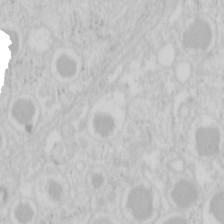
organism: Mouse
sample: Pancreas